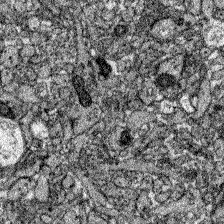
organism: Zebrafish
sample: Larval olfactory bulb